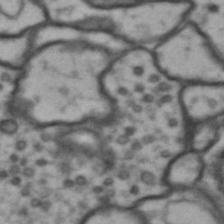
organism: Drosophila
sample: Brain